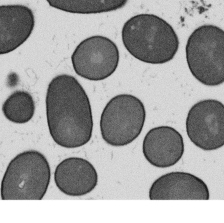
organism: B. subtilis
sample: Bacterial spore